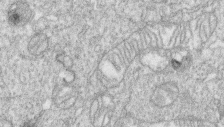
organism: Human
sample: HeLa cell HIV synapse